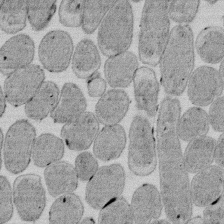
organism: E. coli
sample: Bacterial nucleoid